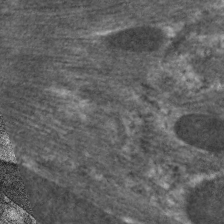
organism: C. elegans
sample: Pharynx